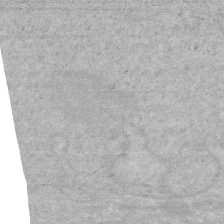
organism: Human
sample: HIV infected U937 cells